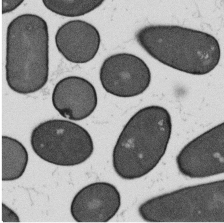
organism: B. subtilis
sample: Bacterial spore